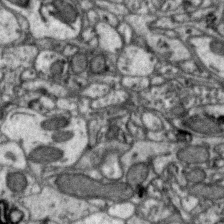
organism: Zebra finch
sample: Brain